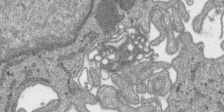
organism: Human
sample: Lung epithelial cells infected with SARS-CoV-2